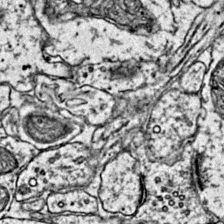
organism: Mouse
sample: Primary visual cortex